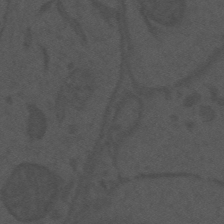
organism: Mouse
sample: Suprachiasmatic nucleus